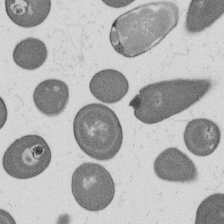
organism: B. subtilis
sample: Bacterial spore